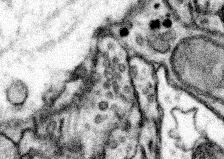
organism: Mouse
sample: Somatosensory cortex neuropil